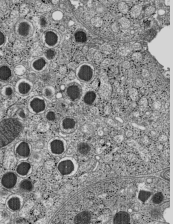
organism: C57BL Mouse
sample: Pancreatic islet